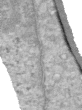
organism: Human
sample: Centriole in RPE cells